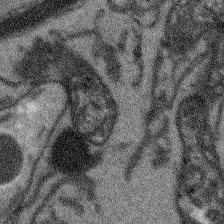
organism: Arabidopsis thaliana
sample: Root tip